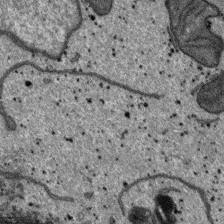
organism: Human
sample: Lung epithelial cells, uninfected (mock) control